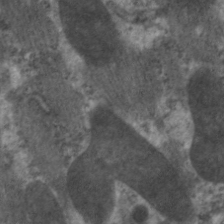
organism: C. elegans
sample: Pharynx